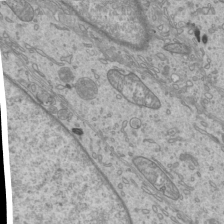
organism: Mouse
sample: Cilia; mouse epididymis